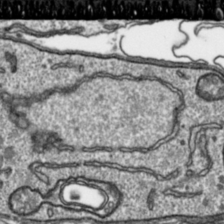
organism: Toxoplasma gondii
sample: Parasites in a vacuole inside a host cell